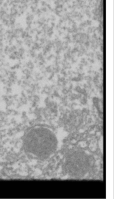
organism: Drosophila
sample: Cell division; meiosis; drosophila spermatocytes